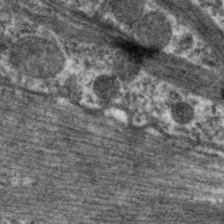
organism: C. elegans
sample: Pharynx